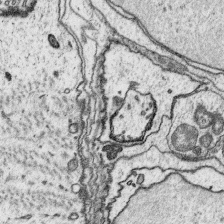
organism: Platynereis dumerilii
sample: Parapodia